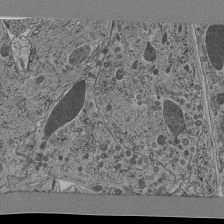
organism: C. elegans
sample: C. elegans pharynx